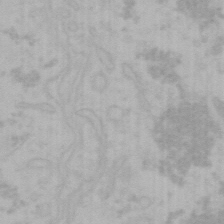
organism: Mouse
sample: Choroid plexus